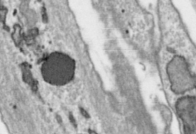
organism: Toxoplasma gondii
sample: Parasites in a vacuole inside a host cell